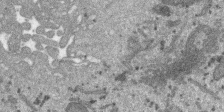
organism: Human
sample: Lung epithelial cells infected with SARS-CoV-2